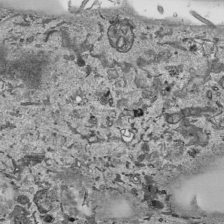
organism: Human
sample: Mitochondria in HCT116 cells